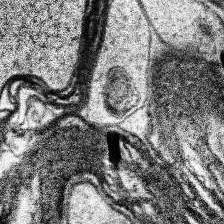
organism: Human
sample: Temporal Lobe